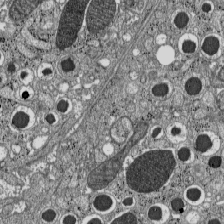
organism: C57BL Mouse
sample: Pancreatic islet